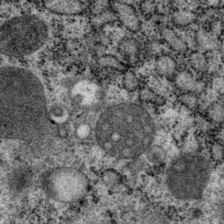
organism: P. pacificus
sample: Pharynx